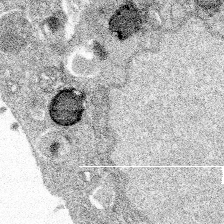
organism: Spongilla lacustris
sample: Multiple